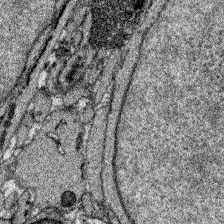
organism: Zebrafish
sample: Larval olfactory bulb